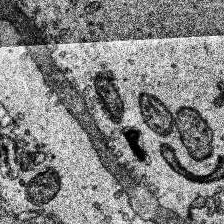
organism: Human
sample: Temporal Lobe